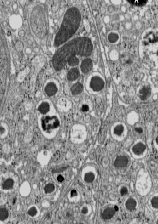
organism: C57BL Mouse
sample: Pancreatic islet